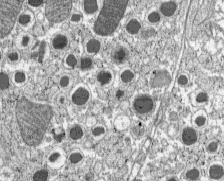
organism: C57BL Mouse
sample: Pancreatic islet